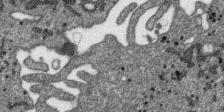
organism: Human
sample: Lung epithelial cells infected with SARS-CoV-2